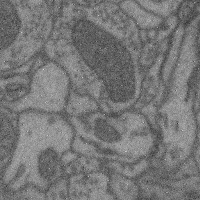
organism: Mouse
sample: Cerebral cortex